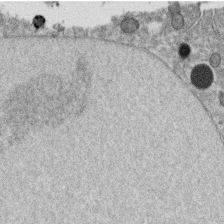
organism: C. elegans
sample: C. elegans oocyte; sperm cells